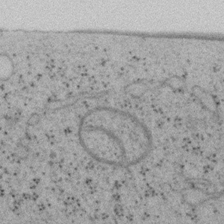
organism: Human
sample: HeLa cells